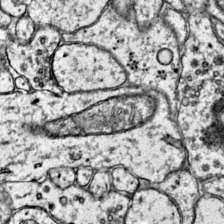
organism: Mouse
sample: Primary visual cortex